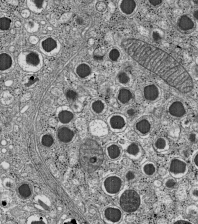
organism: C57BL Mouse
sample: Pancreatic islet